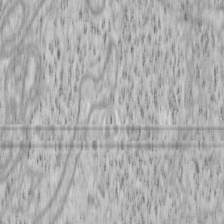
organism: Human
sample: HeLa cells